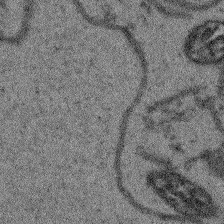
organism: Arabidopsis thaliana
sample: Root tip